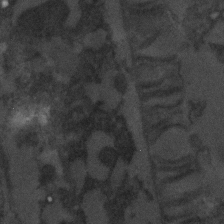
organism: C. elegans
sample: C. elegans embryo